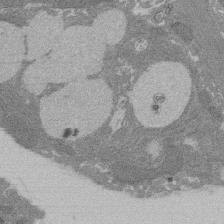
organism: Rat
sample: Salivary granule